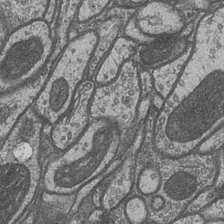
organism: Drosophila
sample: Optic medulla